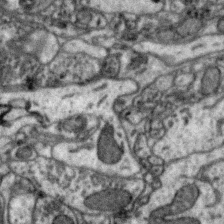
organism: Zebra finch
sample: Brain